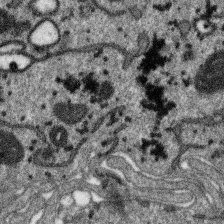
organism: Human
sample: Lung epithelial cells infected with SARS-CoV-2